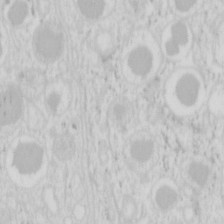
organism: Mouse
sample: Pancreas